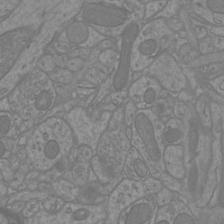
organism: Mouse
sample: Cortical neurons